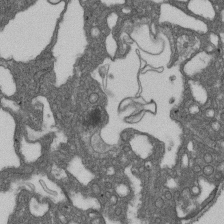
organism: Drosophila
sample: Nephrocyte